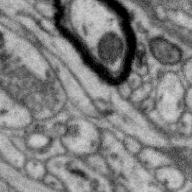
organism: Zebra finch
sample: Brain